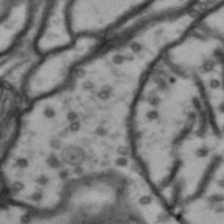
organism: Drosophila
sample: Brain